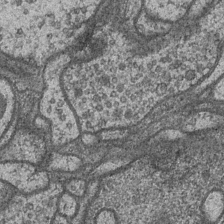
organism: Drosophila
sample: Optic medulla